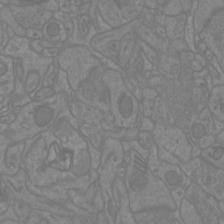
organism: Mouse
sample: Cortical neurons